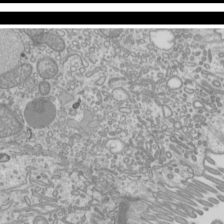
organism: Mouse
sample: Cilia; mouse epididymis